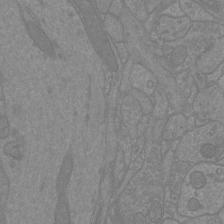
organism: Mouse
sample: Cortical neurons